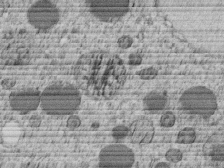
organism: C. elegans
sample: C. elegans embryo early stage